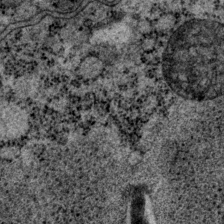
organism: P. pacificus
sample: Pharynx